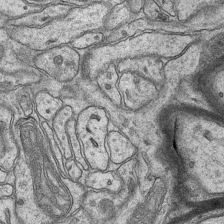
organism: Mouse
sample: CA1 Hippocampus